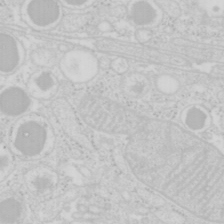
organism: Mouse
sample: Pancreas